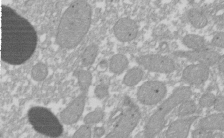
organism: Xenopus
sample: Cilia; centrioles in frog embryo cells